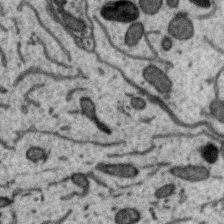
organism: Zebra finch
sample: Brain